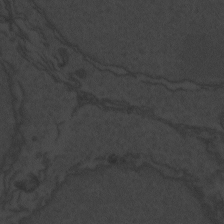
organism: Zebrafish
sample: Macrophage infected with Toxoplasma gondii